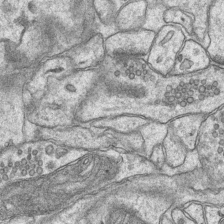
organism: Mouse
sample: CA1 Hippocampus